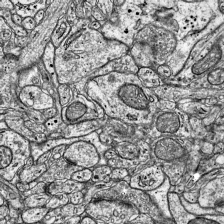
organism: Mouse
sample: Visual Cortex